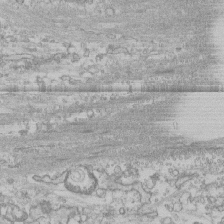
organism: Human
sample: CRL-1474